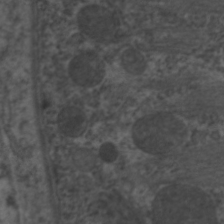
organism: C. elegans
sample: Pharynx